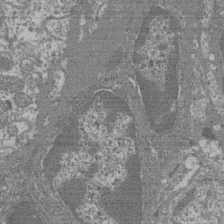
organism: Mouse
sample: Glomerulus